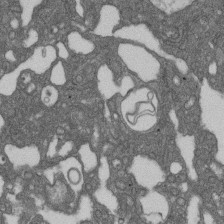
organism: Drosophila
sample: Nephrocyte